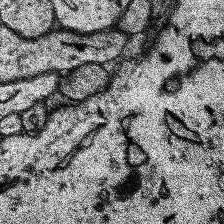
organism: Human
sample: Temporal Lobe